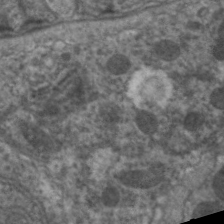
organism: C. elegans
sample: Pharynx